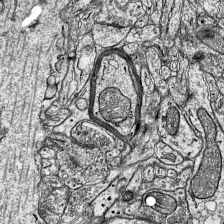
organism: Mouse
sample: Visual Cortex